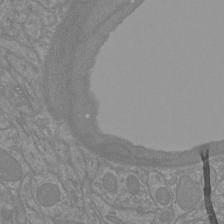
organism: Mouse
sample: Cortical neurons